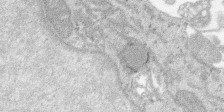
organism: Human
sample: Lung epithelial cells infected with SARS-CoV-2